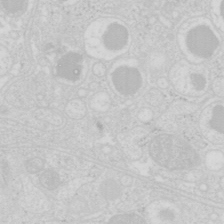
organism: Mouse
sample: Pancreas